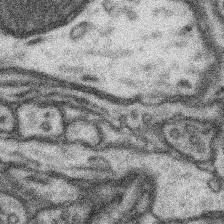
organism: Mouse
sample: Somatosensory cortex neuropil